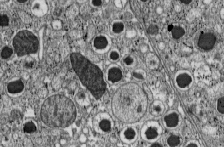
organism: C57BL Mouse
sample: Pancreatic islet